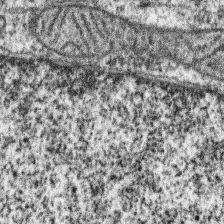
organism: Human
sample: HeLa cells